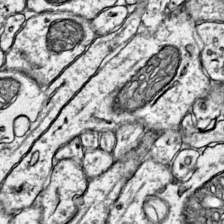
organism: Mouse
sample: Primary visual cortex